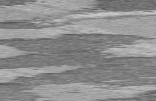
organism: C57BL Mouse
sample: Heart